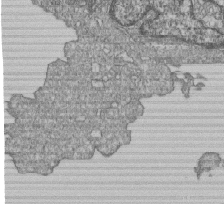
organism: Human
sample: MDA-MB-231 cells